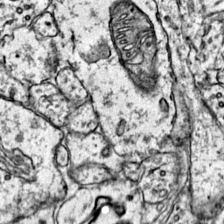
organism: Mouse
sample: Primary visual cortex